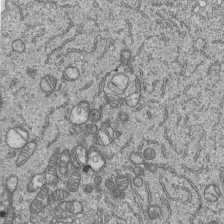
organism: Human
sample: MDA-MB-231 cells